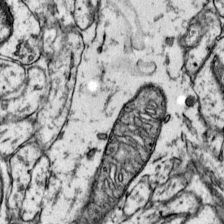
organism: Mouse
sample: Primary visual cortex